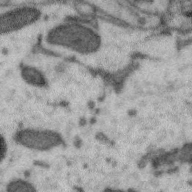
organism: Zebra finch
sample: Brain